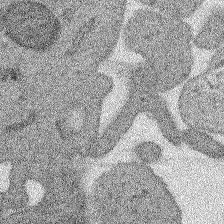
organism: Human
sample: HeLa cells